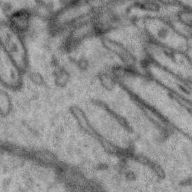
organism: Zebra finch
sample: Brain